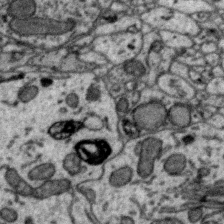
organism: Zebra finch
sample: Brain